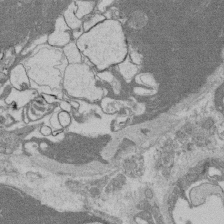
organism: Rat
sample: Salivary granule